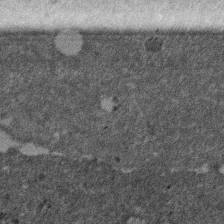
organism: Mouse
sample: Dividing mouse embryo 1 cell stage